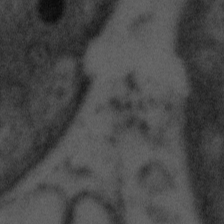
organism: Tuwongella immobilis